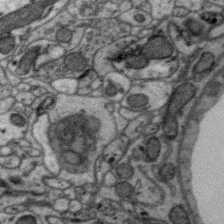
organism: Zebra finch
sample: Brain